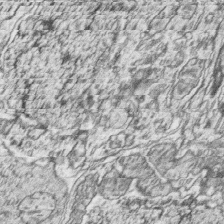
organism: Zebrafish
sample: synaptic ribbons in rod cells and cone cells